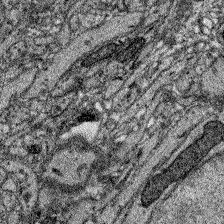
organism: Zebrafish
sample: Larval olfactory bulb